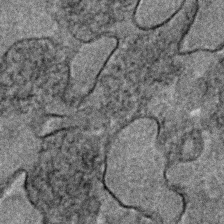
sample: Trachea